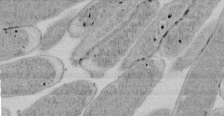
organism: E. coli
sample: Bacterial nucleoid